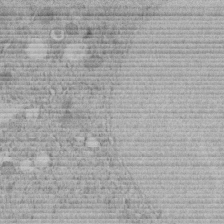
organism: C. elegans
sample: C. elegans embryo early stage